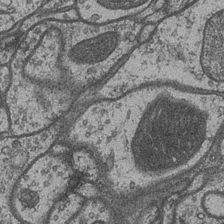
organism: Drosophila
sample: Optic medulla